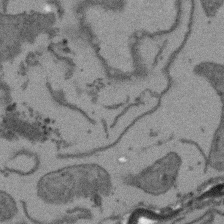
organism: Arabidopsis thaliana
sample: Root tip